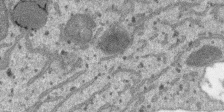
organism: Human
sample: Lung epithelial cells infected with SARS-CoV-2